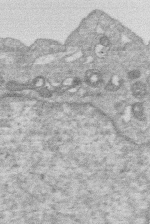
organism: Human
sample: Macrophage cells